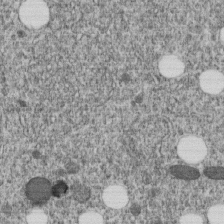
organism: C. elegans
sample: C. elegans embryo early stage